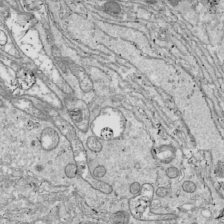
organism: Drosophila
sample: Cell division; meiosis; drosophila spermatocytes